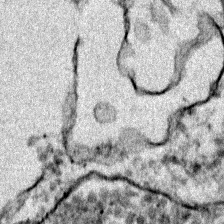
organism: Zebrafish